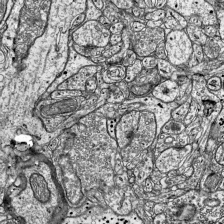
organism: Mouse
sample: Visual Cortex